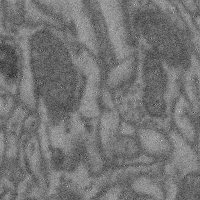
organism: Mouse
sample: Cerebral cortex